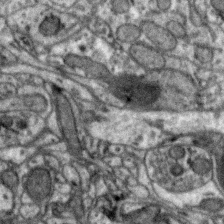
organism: Zebra finch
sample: Brain